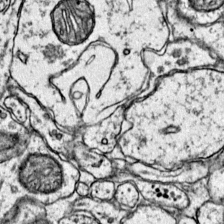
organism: Mouse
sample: Primary visual cortex